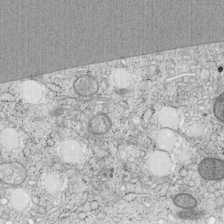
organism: African green monkey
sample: COS-7 cells